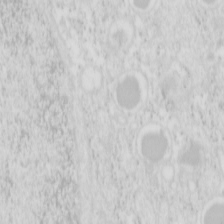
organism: Mouse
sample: Pancreas